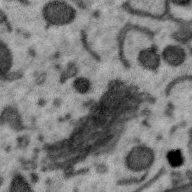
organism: Zebra finch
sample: Brain